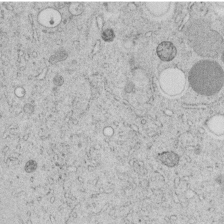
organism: C. elegans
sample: C. elegans embryo early stage